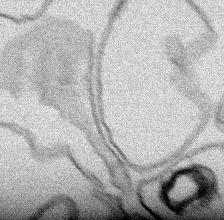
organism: Human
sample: Mitochondria in HCT116 cells